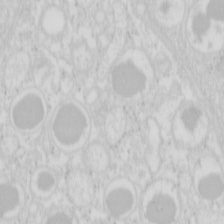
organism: Mouse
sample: Pancreas